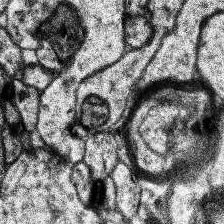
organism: Human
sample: Temporal Lobe